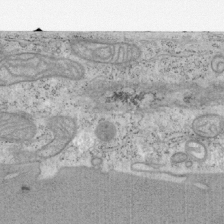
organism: Human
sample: HeLa cells